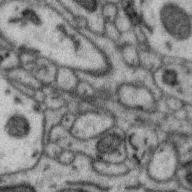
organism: Zebra finch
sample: Brain